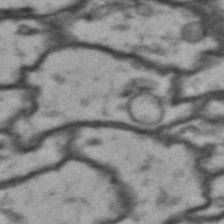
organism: Drosophila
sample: Brain